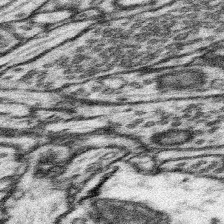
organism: Mouse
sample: Somatosensory cortex neuropil